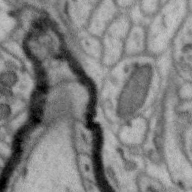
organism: Zebra finch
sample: Brain